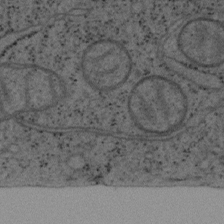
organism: Human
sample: HeLa cells